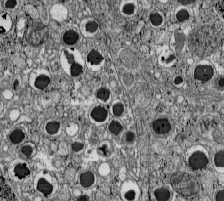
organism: C57BL Mouse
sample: Pancreatic islet